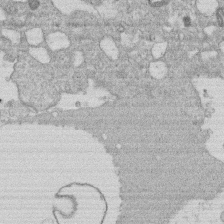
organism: Human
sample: Macrophage cells